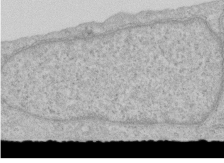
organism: Human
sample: Centriole in RPE cells